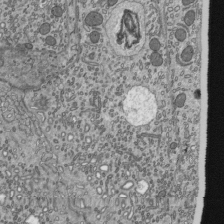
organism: Mouse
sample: Mouse epididymis efferent ductule cilia